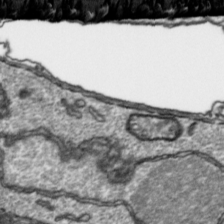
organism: Toxoplasma gondii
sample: Parasites in a vacuole inside a host cell